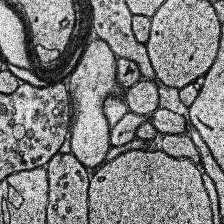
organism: Human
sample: Temporal Lobe